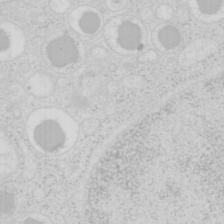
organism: Mouse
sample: Pancreas